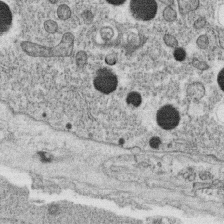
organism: C. elegans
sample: C. elegans oocyte; sperm cells